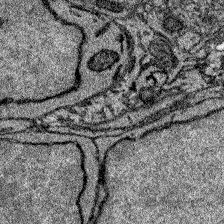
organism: Zebrafish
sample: Larval olfactory bulb